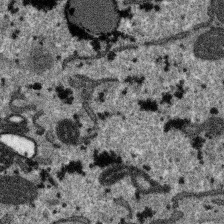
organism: Human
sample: Lung epithelial cells infected with SARS-CoV-2